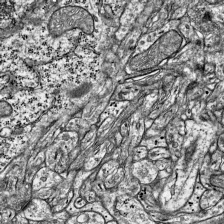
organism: Mouse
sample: Visual Cortex